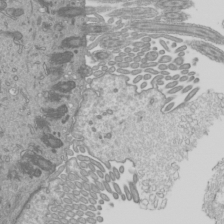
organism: Mouse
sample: Cilia; mouse epididymis